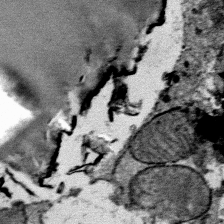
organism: Mouse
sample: Mouse Salivary gland